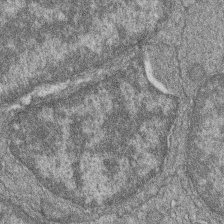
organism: Zebrafish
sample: Cilia; retinal pigment epithelium